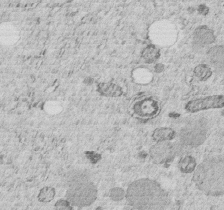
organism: C. elegans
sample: C. elegans embryo early stage